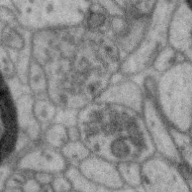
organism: Zebra finch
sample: Brain